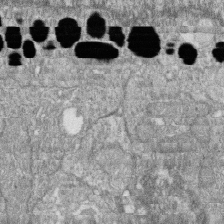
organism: Zebrafish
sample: Cilia; retinal pigment epithelium